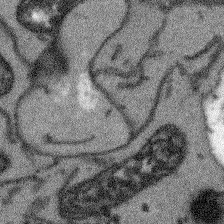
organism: Arabidopsis thaliana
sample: Root tip